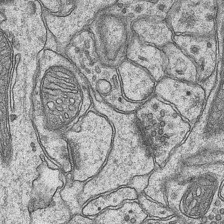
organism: Mouse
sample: CA1 Hippocampus